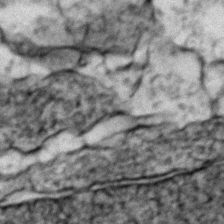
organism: Zebrafish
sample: Zebrafish embryo